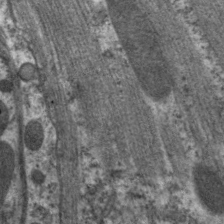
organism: C. elegans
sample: Pharynx